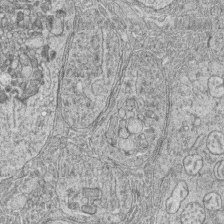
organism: Zebrafish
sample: synaptic ribbons in rod cells and cone cells